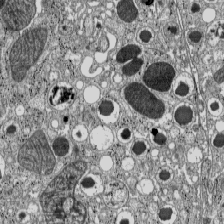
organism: C57BL Mouse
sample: Pancreatic islet